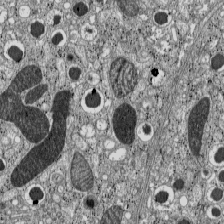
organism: C57BL Mouse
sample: Pancreatic islet